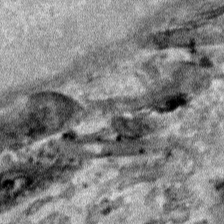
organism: Human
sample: Mitochondria in HCT116 cells